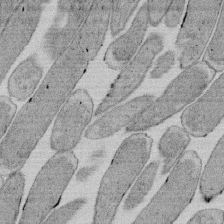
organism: E. coli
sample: Bacterial nucleoid